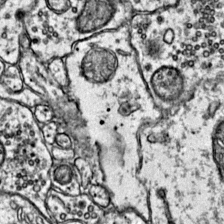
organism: Mouse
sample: Primary visual cortex